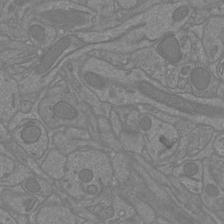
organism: Mouse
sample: Cortical neurons